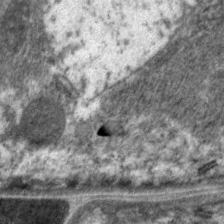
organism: C. elegans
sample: Pharynx